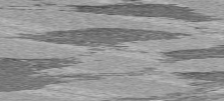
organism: C57BL Mouse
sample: Heart